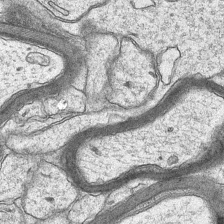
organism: Mouse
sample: CA1 Hippocampus